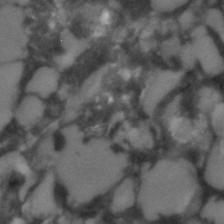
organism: C. elegans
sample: C. elegans embryo